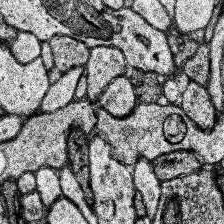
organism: Human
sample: Temporal Lobe